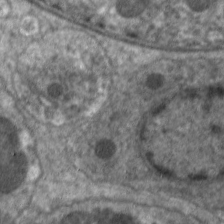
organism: C. elegans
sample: Pharynx